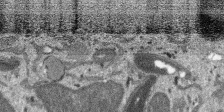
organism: Human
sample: Lung epithelial cells infected with SARS-CoV-2